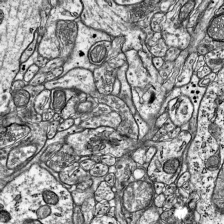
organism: Mouse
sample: Visual Cortex